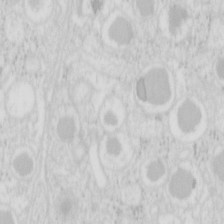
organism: Mouse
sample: Pancreas